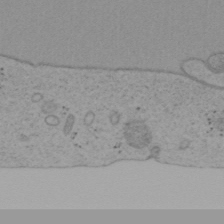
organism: Human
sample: HeLa cells